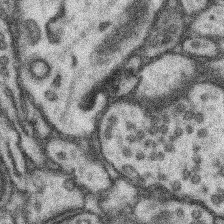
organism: Mouse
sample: Somatosensory cortex neuropil